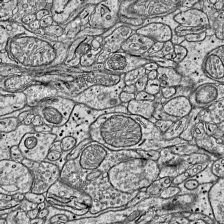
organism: Mouse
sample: Visual Cortex